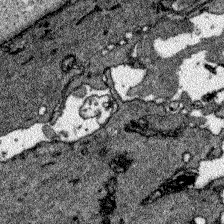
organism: Zebrafish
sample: Larval olfactory bulb